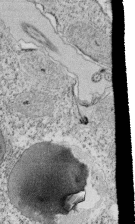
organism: Tetrahymena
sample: Cilia in tetrahymena